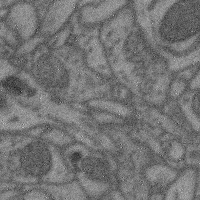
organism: Mouse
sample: Cerebral cortex